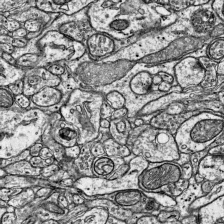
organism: Mouse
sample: Visual Cortex